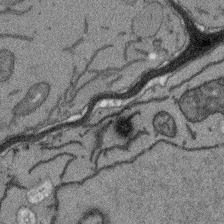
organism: Arabidopsis thaliana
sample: Root tip